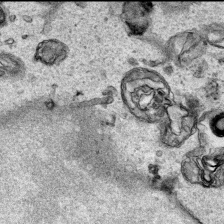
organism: Human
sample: Mitochondria in HCT116 cells